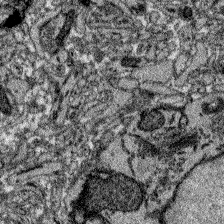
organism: Zebrafish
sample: Larval olfactory bulb